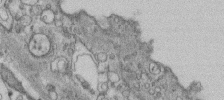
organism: Human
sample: Centriole in fibroblast cells